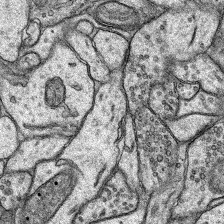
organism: Rat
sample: Hippocampus